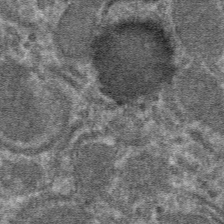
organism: Mouse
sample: Mouse hepatocytes